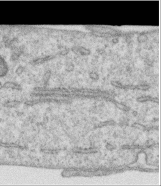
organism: Human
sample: Centriole in RPE cells